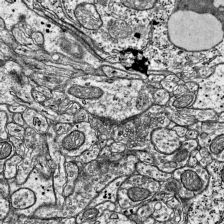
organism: Mouse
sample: Visual Cortex